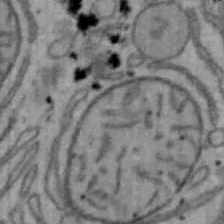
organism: Mouse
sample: Liver